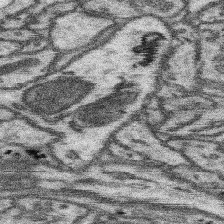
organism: Mouse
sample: Somatosensory cortex neuropil